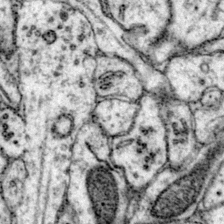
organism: Mouse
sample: Primary visual cortex